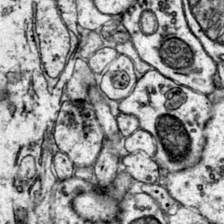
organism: Mouse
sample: Primary visual cortex